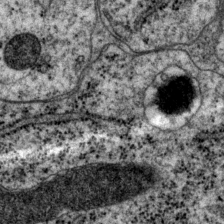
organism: P. pacificus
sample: Pharynx